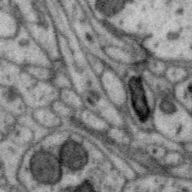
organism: Zebra finch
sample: Brain